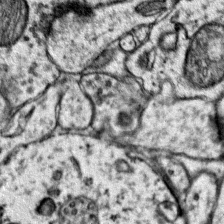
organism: Mouse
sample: Primary visual cortex